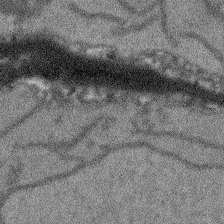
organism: Arabidopsis thaliana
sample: Root tip